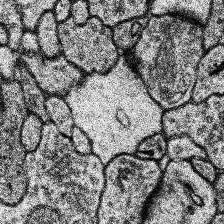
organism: Human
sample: Temporal Lobe